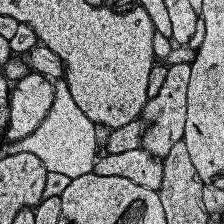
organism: Human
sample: Temporal Lobe